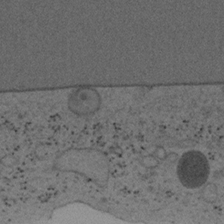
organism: Human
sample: HeLa cells